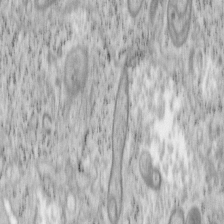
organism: Human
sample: HeLa cells